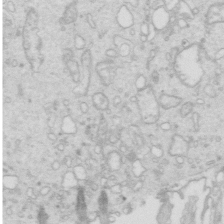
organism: Mouse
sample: Multiciliated cells